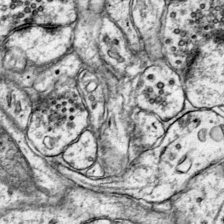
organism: Mouse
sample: Primary visual cortex